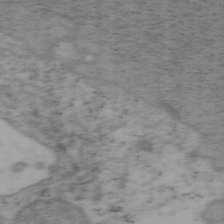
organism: Mouse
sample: OT-I killer T cells with ID8 ovarian cancer cells